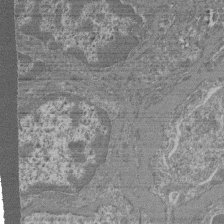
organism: Mouse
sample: Glomerulus